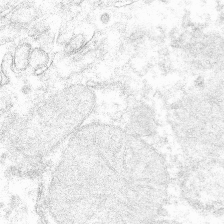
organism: Mouse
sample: Mouse hepatocytes